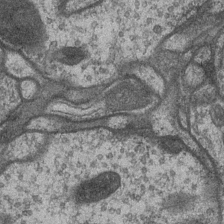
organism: Drosophila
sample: Optic medulla